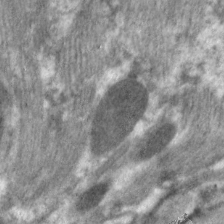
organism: C. elegans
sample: Pharynx